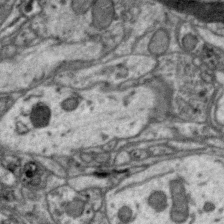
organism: Zebra finch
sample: Brain